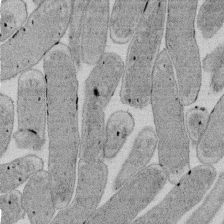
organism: E. coli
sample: Bacterial nucleoid